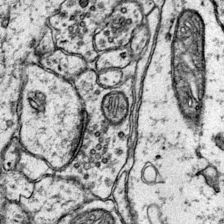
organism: Mouse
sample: Primary visual cortex